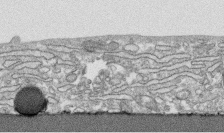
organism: Human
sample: CRL-1474